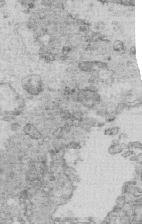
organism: Mouse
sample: Multiciliated cells